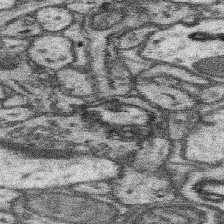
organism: Mouse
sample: Somatosensory cortex neuropil